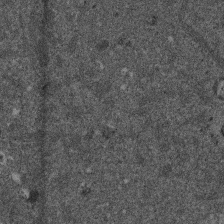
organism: Mouse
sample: Dividing mouse embryo 1 cell stage